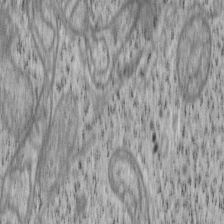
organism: Human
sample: HeLa cells